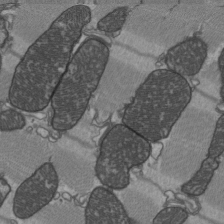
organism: C57BL Mouse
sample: Heart